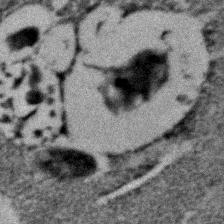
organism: C. elegans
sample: C. elegans embryo